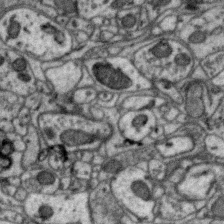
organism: Zebra finch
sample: Brain